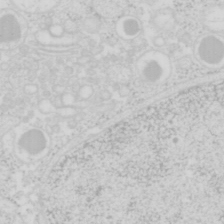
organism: Mouse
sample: Pancreas